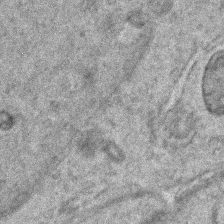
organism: Zebrafish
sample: Zebrafish embryo